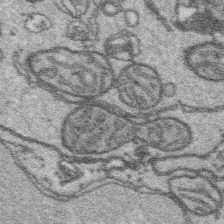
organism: Platynereis dumerilii